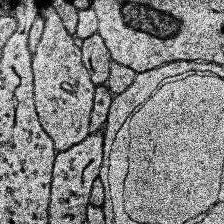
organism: Human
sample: Temporal Lobe